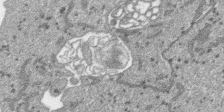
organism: Human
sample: Lung epithelial cells infected with SARS-CoV-2